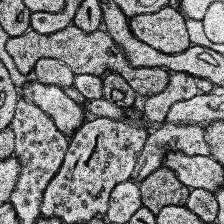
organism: Human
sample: Temporal Lobe